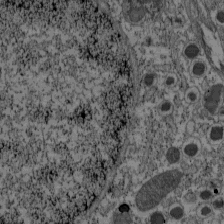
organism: C57BL Mouse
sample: Pancreatic islet